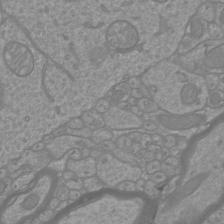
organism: Mouse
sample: Cortical neurons